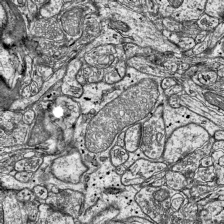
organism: Mouse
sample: Visual Cortex